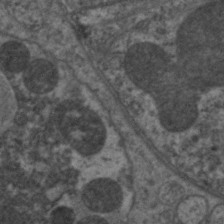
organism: C. elegans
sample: Pharynx